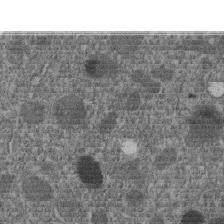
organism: C. elegans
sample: C. elegans embryo early stage